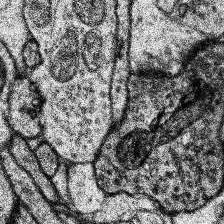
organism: Human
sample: Temporal Lobe